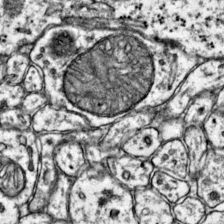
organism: Mouse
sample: Primary visual cortex